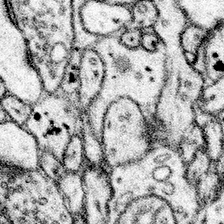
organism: Mouse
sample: Somatosensory cortex neuropil